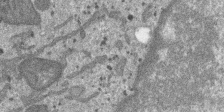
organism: Human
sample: Lung epithelial cells infected with SARS-CoV-2